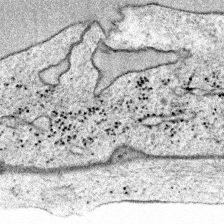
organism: Human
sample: HeLa cells